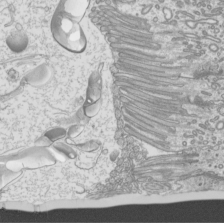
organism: Mouse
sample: Cilia; mouse epididymis